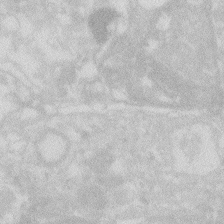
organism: Zebrafish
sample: Macrophage